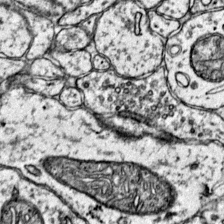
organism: Mouse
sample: Primary visual cortex